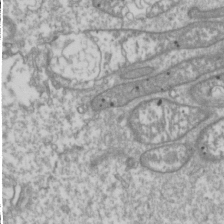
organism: Drosophila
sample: Cell division; meiosis; drosophila spermatocytes